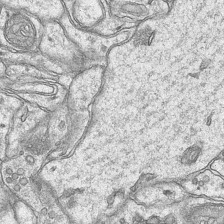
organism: Mouse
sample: CA1 Hippocampus